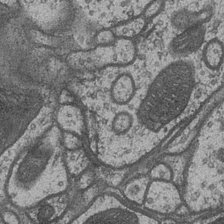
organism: Drosophila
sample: Optic medulla